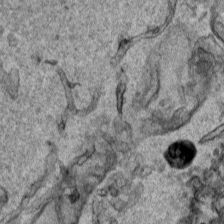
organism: Human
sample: Mitochondria in HCT116 cells